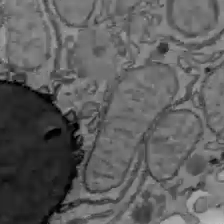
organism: C57BL Mouse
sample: Liver